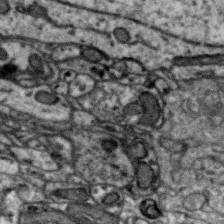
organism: Zebra finch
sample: Brain